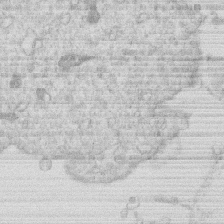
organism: Human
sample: Macrophage cells